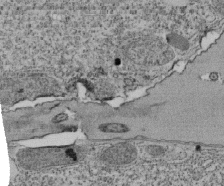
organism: Tetrahymena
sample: Cilia in tetrahymena